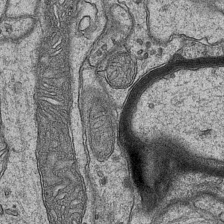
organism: Mouse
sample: CA1 Hippocampus